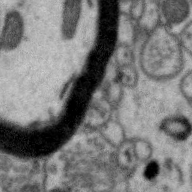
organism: Zebra finch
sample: Brain